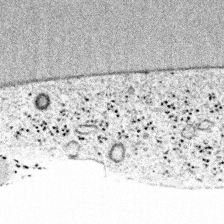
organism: Human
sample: HeLa cells